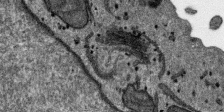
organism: Human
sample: Lung epithelial cells, uninfected (mock) control